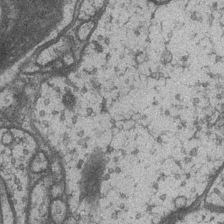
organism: Drosophila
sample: Optic medulla